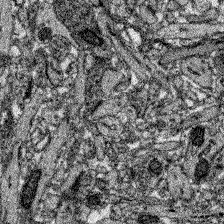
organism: Zebrafish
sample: Larval olfactory bulb